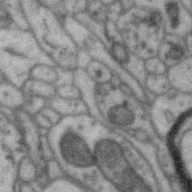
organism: Zebra finch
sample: Brain